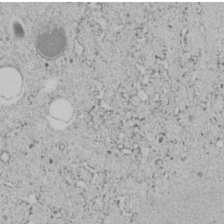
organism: C. elegans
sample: C. elegans embryo early stage